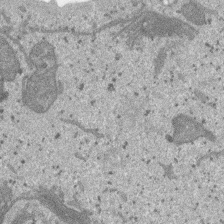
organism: Human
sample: Lung epithelial cells infected with SARS-CoV-2